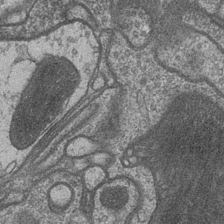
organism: Drosophila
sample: Optic medulla